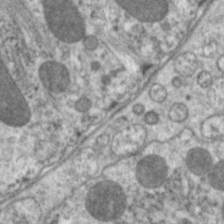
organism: C. elegans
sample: Pharynx